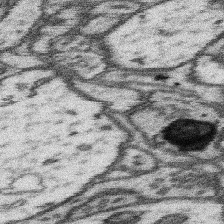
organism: Mouse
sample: Somatosensory cortex neuropil